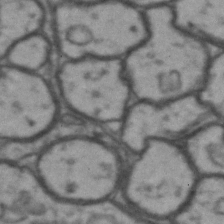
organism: Drosophila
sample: Brain